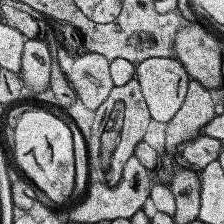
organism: Human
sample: Temporal Lobe